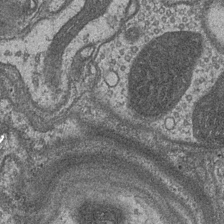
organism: Drosophila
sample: Optic medulla